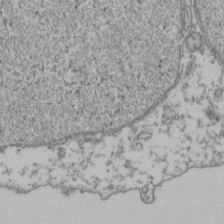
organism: Human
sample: Activated Jurkat CD4+ T cells